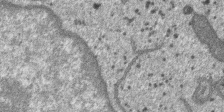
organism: Human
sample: Lung epithelial cells infected with SARS-CoV-2